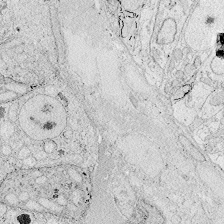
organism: Zebrafish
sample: Whole-Brain